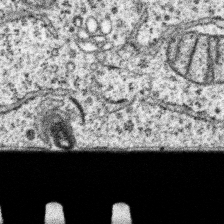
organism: Human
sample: HeLa cells